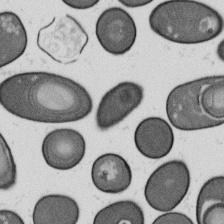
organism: B. subtilis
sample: Bacterial spore